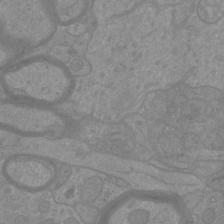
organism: Mouse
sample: Cortical neurons